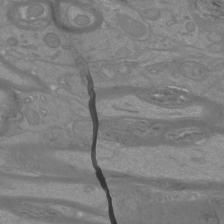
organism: Mouse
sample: Cortical neurons